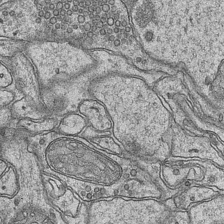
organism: Mouse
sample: CA1 Hippocampus